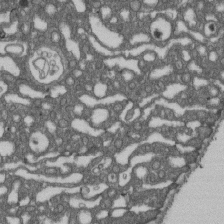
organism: Drosophila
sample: Nephrocyte